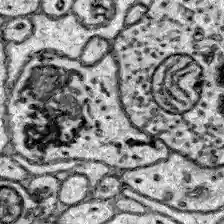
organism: Zebrafish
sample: Brain